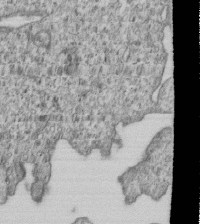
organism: Human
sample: MDA-MB-231 cells